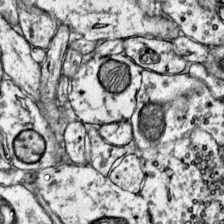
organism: Mouse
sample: Primary visual cortex